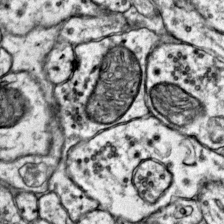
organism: Mouse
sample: Primary visual cortex